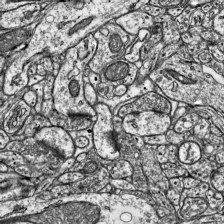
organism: Mouse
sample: Visual Cortex